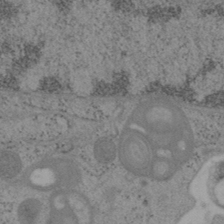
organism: Mouse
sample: OT-I killer T cells with ID8 ovarian cancer cells